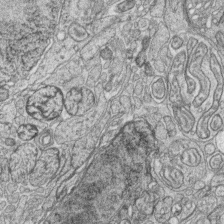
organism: Zebrafish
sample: synaptic ribbons in rod cells and cone cells